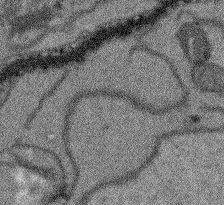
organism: Arabidopsis thaliana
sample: Root tip